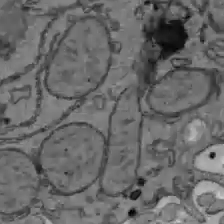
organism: C57BL Mouse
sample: Liver